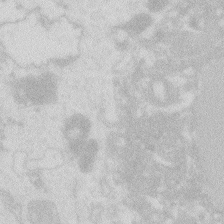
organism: Zebrafish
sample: Macrophage